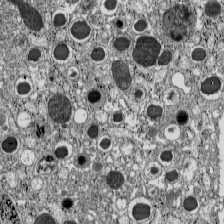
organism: C57BL Mouse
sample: Pancreatic islet